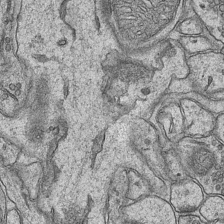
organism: Mouse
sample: CA1 Hippocampus